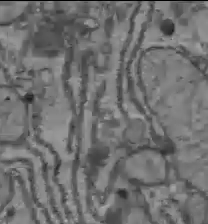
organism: C57BL Mouse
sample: Liver